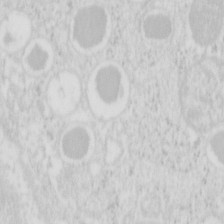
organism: Mouse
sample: Pancreas